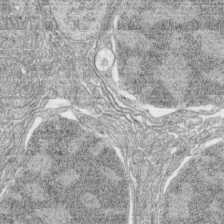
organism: Zebrafish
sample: synaptic ribbons in rod cells and cone cells